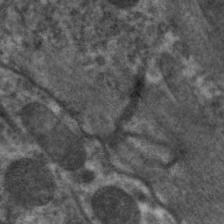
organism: C. elegans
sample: Pharynx